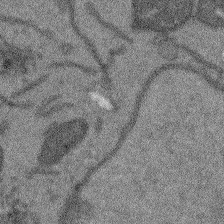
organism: Arabidopsis thaliana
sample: Root tip